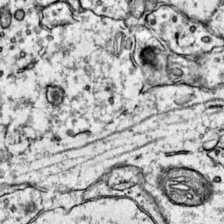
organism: Mouse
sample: Primary visual cortex